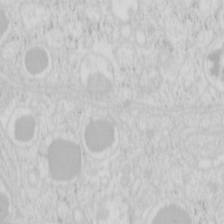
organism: Mouse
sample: Pancreas